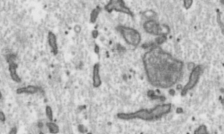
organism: Toxoplasma gondii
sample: Parasites in a vacuole inside a host cell